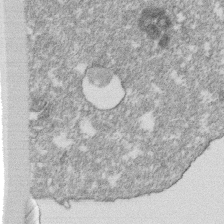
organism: African green monkey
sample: Vero E6 cells infected with SARS-CoV-2